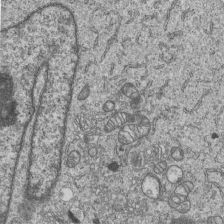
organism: Human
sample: MDA-MB-231 cells